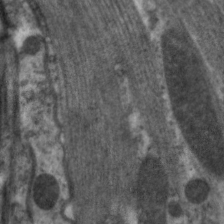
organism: C. elegans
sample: Pharynx